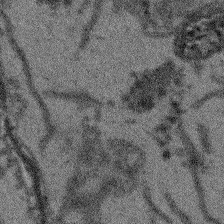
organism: Arabidopsis thaliana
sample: Root tip